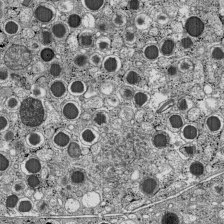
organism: C57BL Mouse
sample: Pancreatic islet